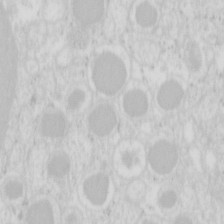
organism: Mouse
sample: Pancreas